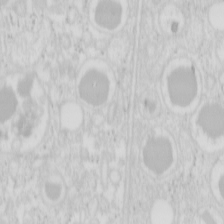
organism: Mouse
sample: Pancreas